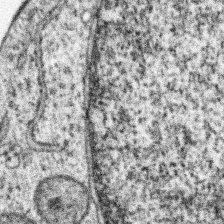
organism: Human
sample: HeLa cells